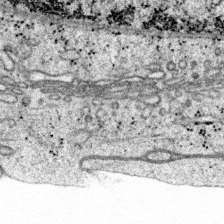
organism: Human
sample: HeLa cells